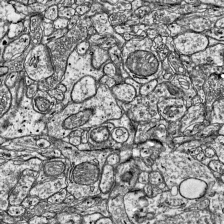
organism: Mouse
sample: Visual Cortex